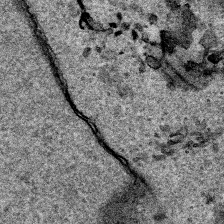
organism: Human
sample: Mitochondria in HCT116 cells